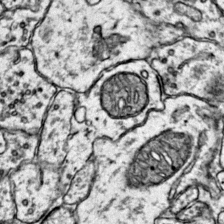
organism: Mouse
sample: Primary visual cortex